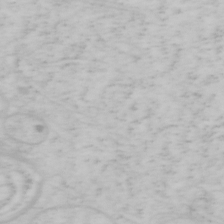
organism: Mouse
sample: OT-I killer T cells with ID8 ovarian cancer cells